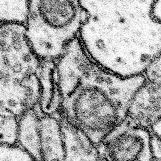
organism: Mouse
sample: Somatosensory cortex neuropil